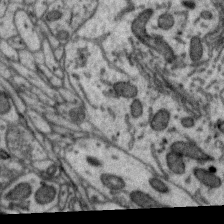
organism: Zebra finch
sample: Brain